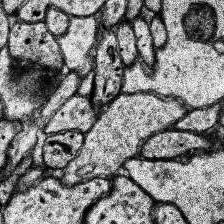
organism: Human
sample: Temporal Lobe